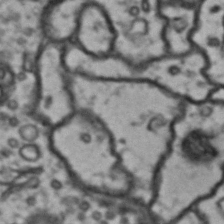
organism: Drosophila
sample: Brain